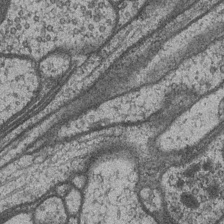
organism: Drosophila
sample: Optic medulla